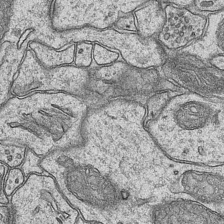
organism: Mouse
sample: CA1 Hippocampus